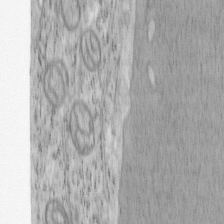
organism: Human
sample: HeLa cells